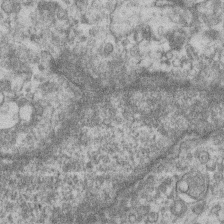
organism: Mouse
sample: T cell stromal cell synapse